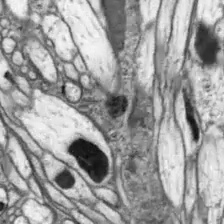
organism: Drosophila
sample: Optic lobe